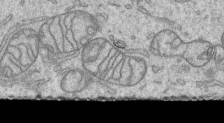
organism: Human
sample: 1205lu cells